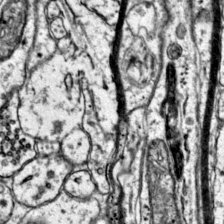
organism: Mouse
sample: Primary visual cortex